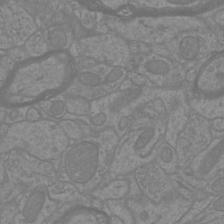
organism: Mouse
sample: Cortical neurons